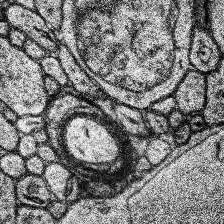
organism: Human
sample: Temporal Lobe